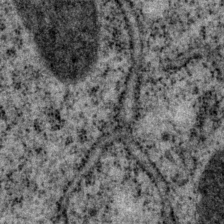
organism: P. pacificus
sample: Pharynx